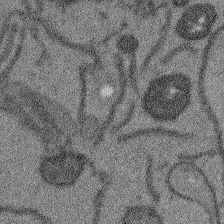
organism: Arabidopsis thaliana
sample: Root tip